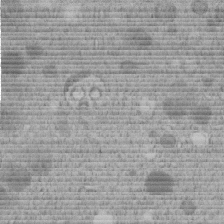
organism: C. elegans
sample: C. elegans embryo early stage